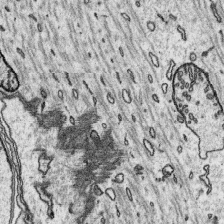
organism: Platynereis dumerilii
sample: Parapodia